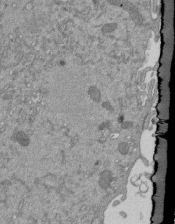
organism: Mouse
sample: ED-1 cell nuclei; centrioles